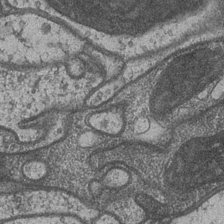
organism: Drosophila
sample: Optic medulla